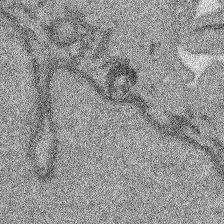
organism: Human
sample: HeLa cells